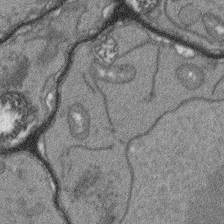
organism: Arabidopsis thaliana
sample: Root tip